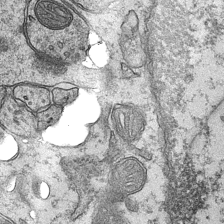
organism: Mouse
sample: CA1 Hippocampus